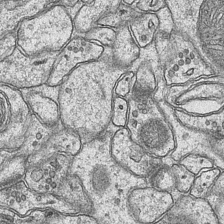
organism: Mouse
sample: CA1 Hippocampus